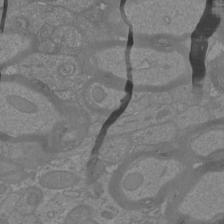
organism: Mouse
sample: Cortical neurons